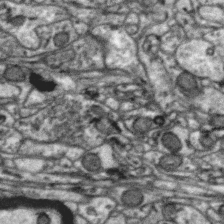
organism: Zebra finch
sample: Brain